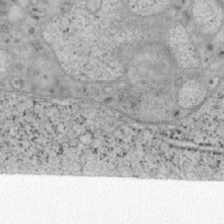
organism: Mouse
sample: OT-I killer T cells with ID8 ovarian cancer cells